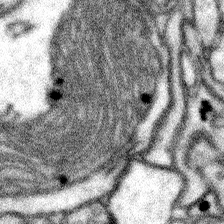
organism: Mouse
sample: Somatosensory cortex neuropil